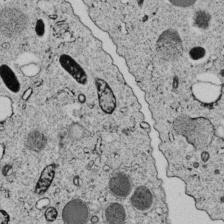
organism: C. elegans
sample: C. elegans embryo early stage